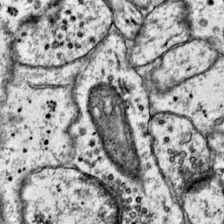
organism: Mouse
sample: Primary visual cortex